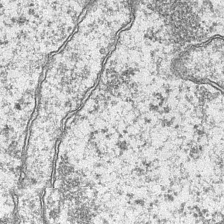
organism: Mouse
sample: CA1 Hippocampus